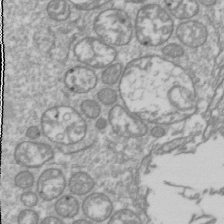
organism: Drosophila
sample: Cell division; meiosis; drosophila spermatocytes